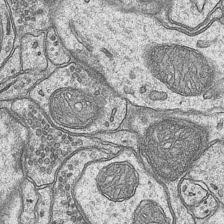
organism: Mouse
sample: CA1 Hippocampus